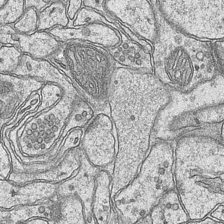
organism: Mouse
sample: CA1 Hippocampus